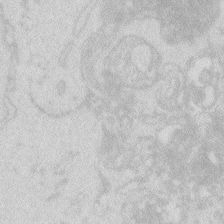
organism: Zebrafish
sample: Macrophage